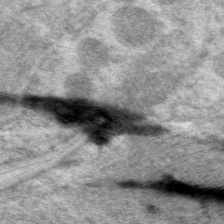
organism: C. elegans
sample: Pharynx